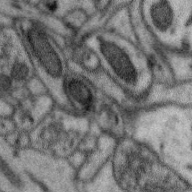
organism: Zebra finch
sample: Brain